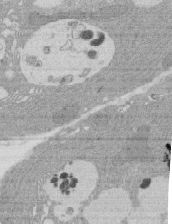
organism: Rat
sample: Salivary granule